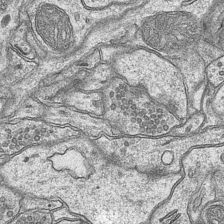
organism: Mouse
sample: CA1 Hippocampus